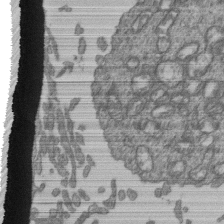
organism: Human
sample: Retinal organoid Rod and Cone cells